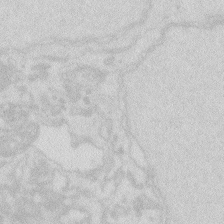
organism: Zebrafish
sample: Macrophage